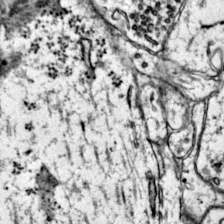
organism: Mouse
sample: Primary visual cortex